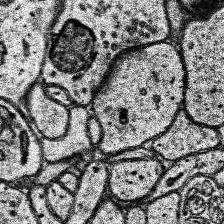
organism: Human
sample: Temporal Lobe